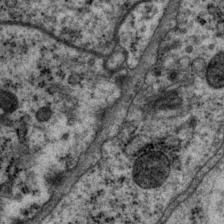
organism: P. pacificus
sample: Pharynx